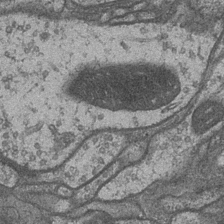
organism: Drosophila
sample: Optic medulla